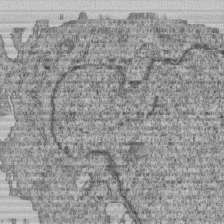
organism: Human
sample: MDA-MB-231 cells